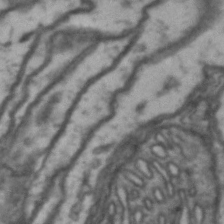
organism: Drosophila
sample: Brain